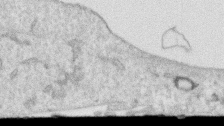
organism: Human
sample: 1205lu cells